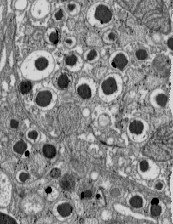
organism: C57BL Mouse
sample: Pancreatic islet